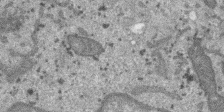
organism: Human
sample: Lung epithelial cells infected with SARS-CoV-2